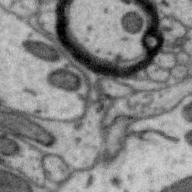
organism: Zebra finch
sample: Brain